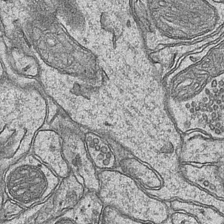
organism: Mouse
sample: CA1 Hippocampus